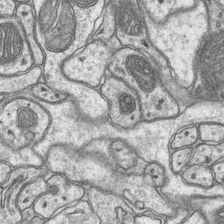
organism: Mouse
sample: CA1 Hippocampus